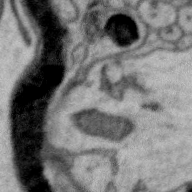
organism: Zebra finch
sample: Brain